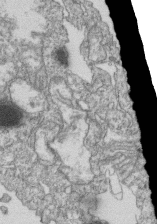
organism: Human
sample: HeLa cell HIV synapse